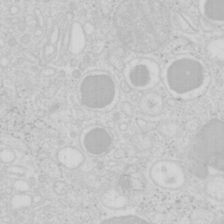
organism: Mouse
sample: Pancreas